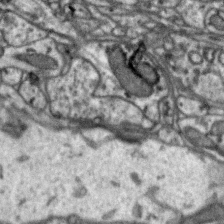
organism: Zebra finch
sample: Brain